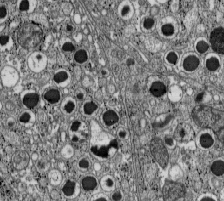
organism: C57BL Mouse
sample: Pancreatic islet